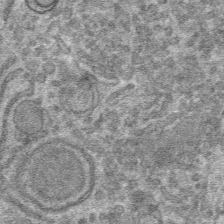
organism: Mouse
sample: Mouse hepatocytes